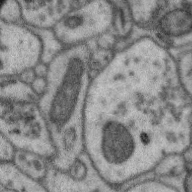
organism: Zebra finch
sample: Brain